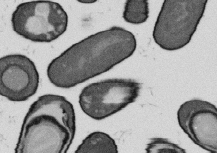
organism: B. subtilis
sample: Bacterial spore